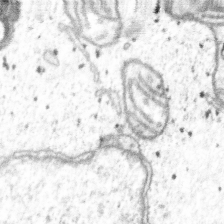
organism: Human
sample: HeLa cells